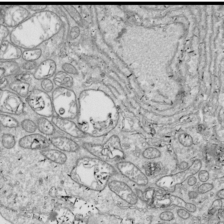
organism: Drosophila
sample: Cell division; meiosis; drosophila spermatocytes